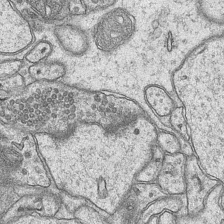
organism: Mouse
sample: CA1 Hippocampus